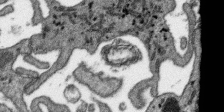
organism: Human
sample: Lung epithelial cells, uninfected (mock) control